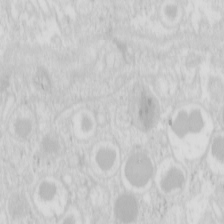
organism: Mouse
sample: Pancreas